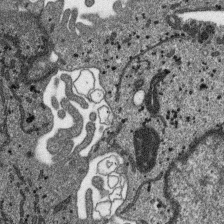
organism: Human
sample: Lung epithelial cells infected with SARS-CoV-2